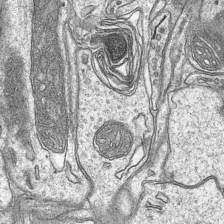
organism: Mouse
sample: CA1 Hippocampus